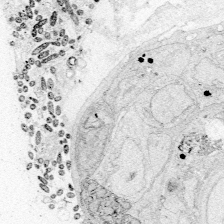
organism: Zebrafish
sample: Whole-Brain